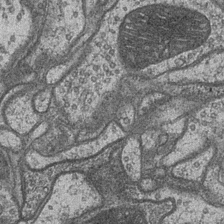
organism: Drosophila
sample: Optic medulla